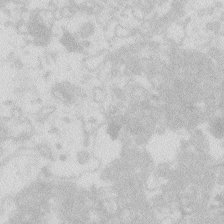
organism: Zebrafish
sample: Macrophage